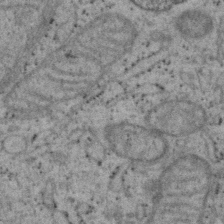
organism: Human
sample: HeLa cells